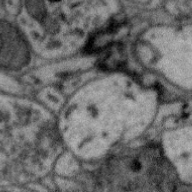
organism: Zebra finch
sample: Brain